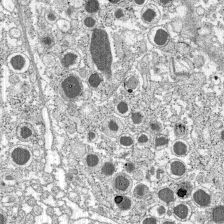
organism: C57BL Mouse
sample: Pancreatic islet